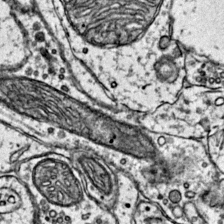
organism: Mouse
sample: Primary visual cortex